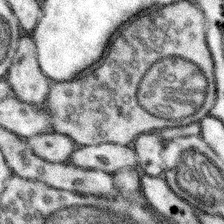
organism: Mouse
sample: Somatosensory cortex neuropil